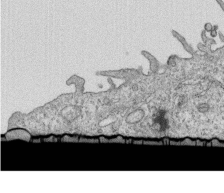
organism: Human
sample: HeLa cell HIV synapse